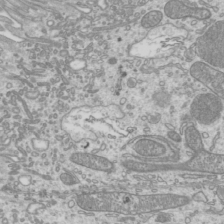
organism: Mouse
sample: Cilia; mouse epididymis